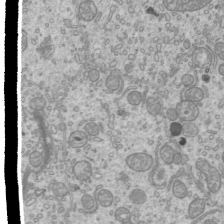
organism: Mouse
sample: Cilia; mouse epididymis